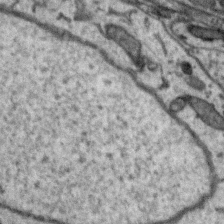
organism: Zebra finch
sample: Brain